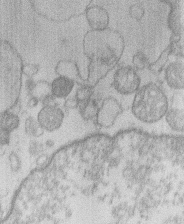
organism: Human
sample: Macrophage cells